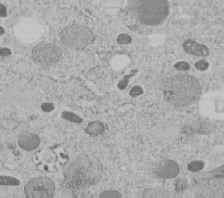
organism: C. elegans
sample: C. elegans embryo early stage